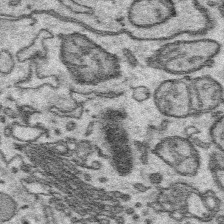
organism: Platynereis dumerilii